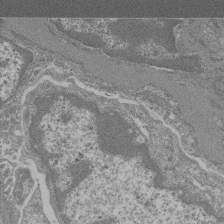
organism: Mouse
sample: Glomerulus